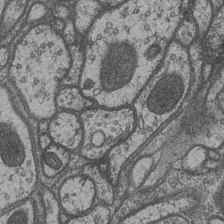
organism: Drosophila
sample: Optic medulla